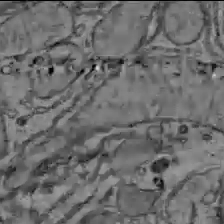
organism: C57BL Mouse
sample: Liver